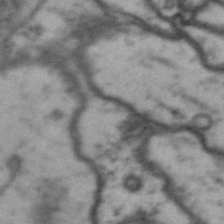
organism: Drosophila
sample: Brain